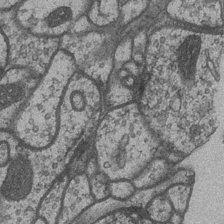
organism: Drosophila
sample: Optic medulla